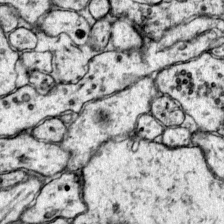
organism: Mouse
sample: Primary visual cortex